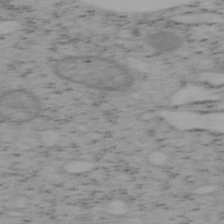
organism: Mouse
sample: OT-I killer T cells with ID8 ovarian cancer cells